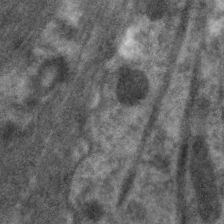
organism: C. elegans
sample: Pharynx